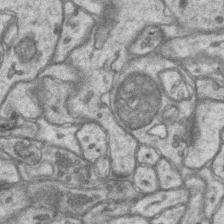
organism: Mouse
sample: CA1 Hippocampus